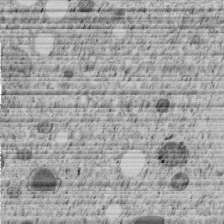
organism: C. elegans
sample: C. elegans embryo early stage